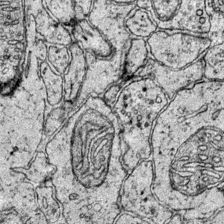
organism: Mouse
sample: Primary visual cortex